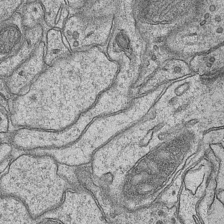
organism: Mouse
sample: CA1 Hippocampus